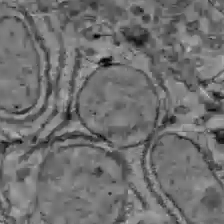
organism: C57BL Mouse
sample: Liver